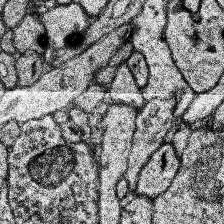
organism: Human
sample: Temporal Lobe